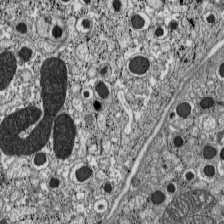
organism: C57BL Mouse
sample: Pancreatic islet